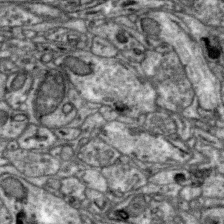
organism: Zebra finch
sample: Brain